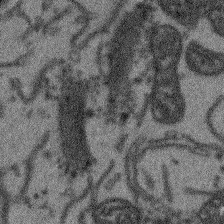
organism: Arabidopsis thaliana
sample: Root tip